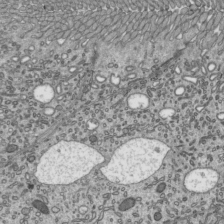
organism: Mouse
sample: Mouse epididymis efferent ductule cilia